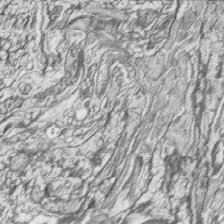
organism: Zebrafish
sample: synaptic ribbons in rod cells and cone cells